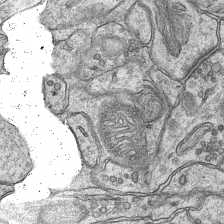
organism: Mouse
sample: CA1 Hippocampus